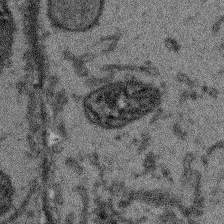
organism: Arabidopsis thaliana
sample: Root tip